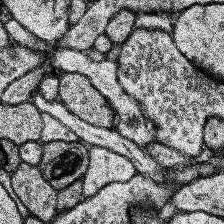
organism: Human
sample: Temporal Lobe